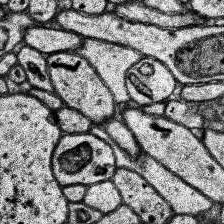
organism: Human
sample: Temporal Lobe